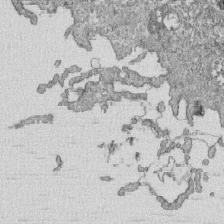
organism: Human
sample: HeLa cell HIV synapse